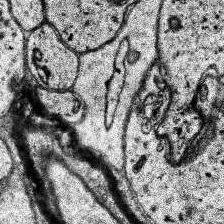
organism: Human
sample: Temporal Lobe